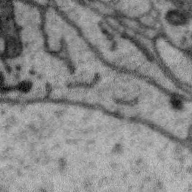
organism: Zebra finch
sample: Brain